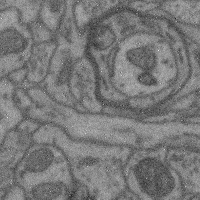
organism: Mouse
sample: Cerebral cortex